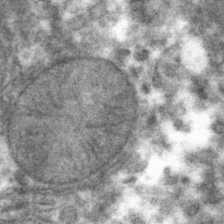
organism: Mouse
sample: Mouse hepatocytes